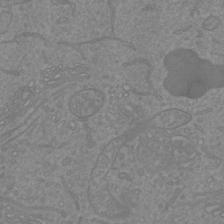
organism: Mouse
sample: Cortical neurons